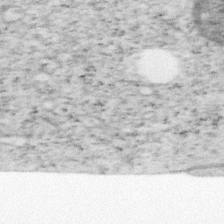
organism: Mouse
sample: OT-I killer T cells with ID8 ovarian cancer cells